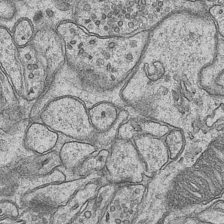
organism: Mouse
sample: CA1 Hippocampus